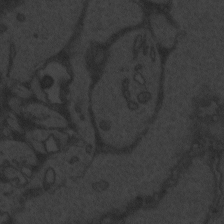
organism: Zebrafish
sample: Macrophage infected with Toxoplasma gondii